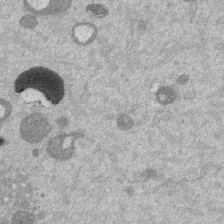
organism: Mouse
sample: Dividing mouse embryo 1 cell stage